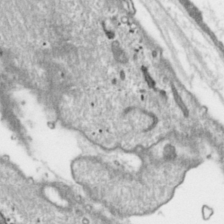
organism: Toxoplasma gondii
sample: Parasites in a vacuole inside a host cell